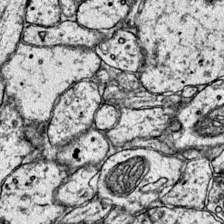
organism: Mouse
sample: Primary visual cortex